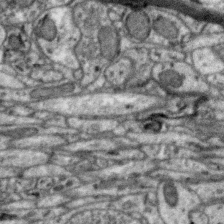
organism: Zebra finch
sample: Brain